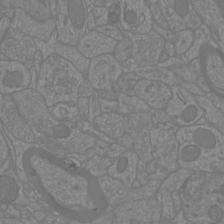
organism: Mouse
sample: Cortical neurons